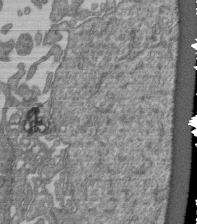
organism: Human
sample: Retinal organoid Rod and Cone cells